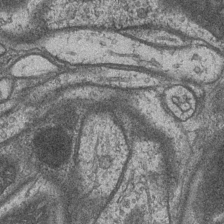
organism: Drosophila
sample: Optic medulla